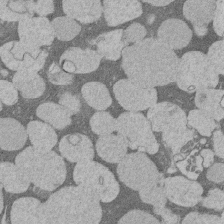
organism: Rat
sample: Salivary granule